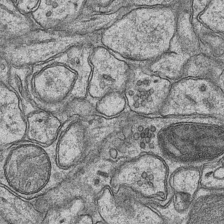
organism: Mouse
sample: CA1 Hippocampus